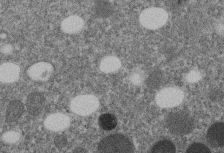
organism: C. elegans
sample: C. elegans embryo early stage